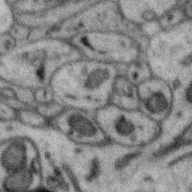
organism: Zebra finch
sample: Brain